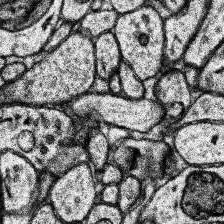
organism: Human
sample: Temporal Lobe